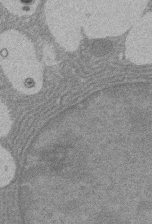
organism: Rat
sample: Salivary granule